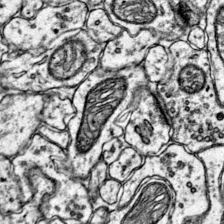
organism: Mouse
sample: Primary visual cortex